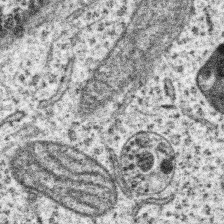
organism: Human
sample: HeLa cells